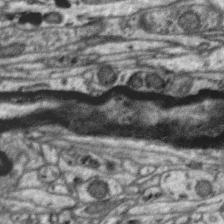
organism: Zebra finch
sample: Brain